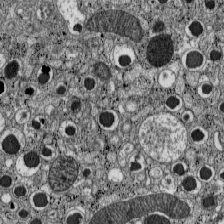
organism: C57BL Mouse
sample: Pancreatic islet